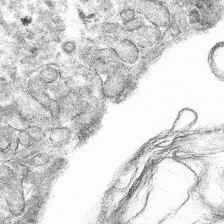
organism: Mouse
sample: Mouse hepatocytes